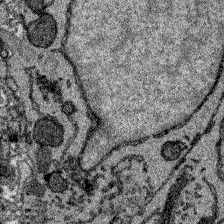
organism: Zebrafish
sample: Larval olfactory bulb